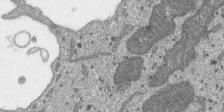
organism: Human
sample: Lung epithelial cells infected with SARS-CoV-2